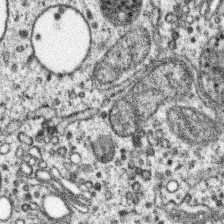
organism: Human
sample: HeLa cells